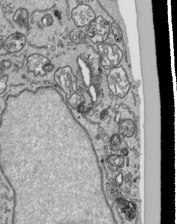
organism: Human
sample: Mitochondria in HCT116 cells